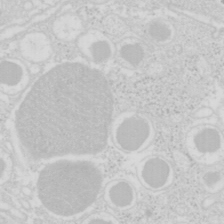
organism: Mouse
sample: Pancreas